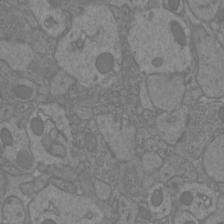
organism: Mouse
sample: Cortical neurons